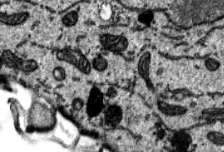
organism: Human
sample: HeLa cells